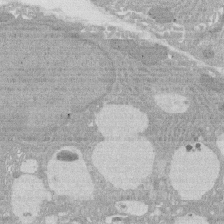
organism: Rat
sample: Salivary granule